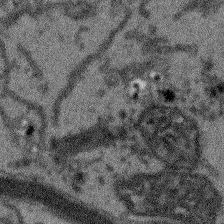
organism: Arabidopsis thaliana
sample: Root tip